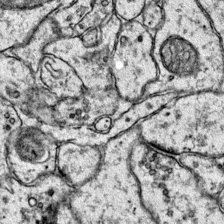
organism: Mouse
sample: Primary visual cortex